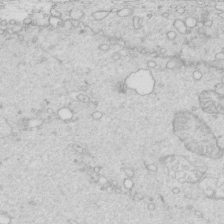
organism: Mouse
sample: Multiciliated cells